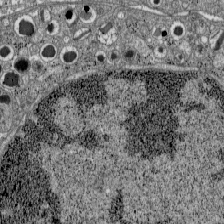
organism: C57BL Mouse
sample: Pancreatic islet